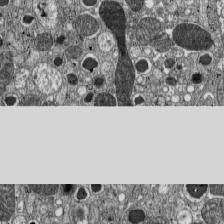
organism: C57BL Mouse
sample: Pancreatic islet